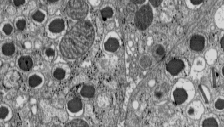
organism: C57BL Mouse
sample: Pancreatic islet